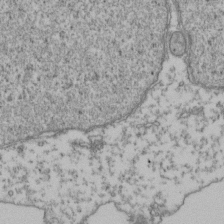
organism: Human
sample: Activated Jurkat CD4+ T cells